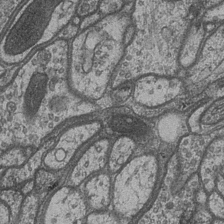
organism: Drosophila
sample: Optic medulla